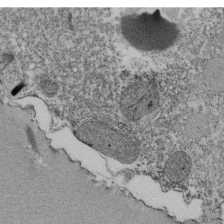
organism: Tetrahymena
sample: Cilia in tetrahymena